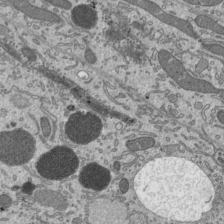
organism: Mouse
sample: Mouse epididymis efferent ductule cilia